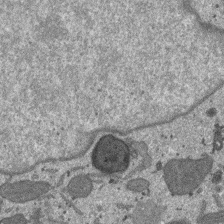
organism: Human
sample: Lung epithelial cells infected with SARS-CoV-2